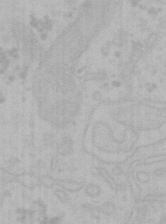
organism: Mouse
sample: Choroid plexus